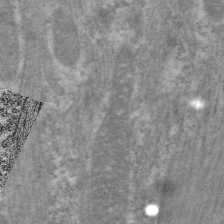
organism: C. elegans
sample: Pharynx